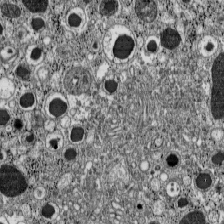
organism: C57BL Mouse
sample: Pancreatic islet